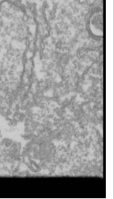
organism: Drosophila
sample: Cell division; meiosis; drosophila spermatocytes